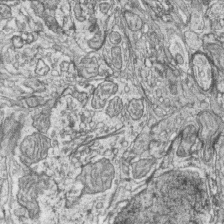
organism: Zebrafish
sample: synaptic ribbons in rod cells and cone cells